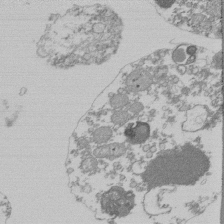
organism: Mouse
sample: Activated Pmel transgenic CD8+ T Cells